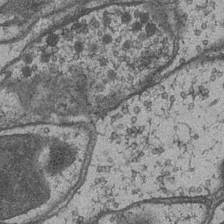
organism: Drosophila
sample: Optic medulla